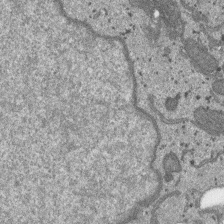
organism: Human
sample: Lung epithelial cells infected with SARS-CoV-2